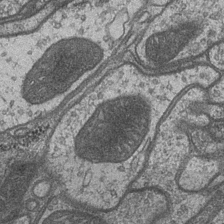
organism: Drosophila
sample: Optic medulla